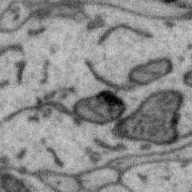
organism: Zebra finch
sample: Brain